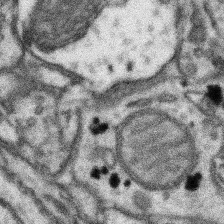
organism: Mouse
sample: Somatosensory cortex neuropil